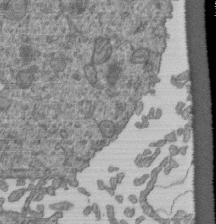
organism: Human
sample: Retinal organoid Rod and Cone cells